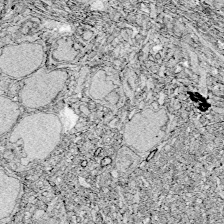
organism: Zebrafish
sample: Whole-Brain